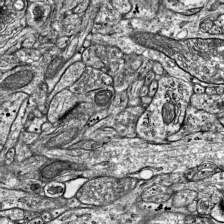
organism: Mouse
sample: Visual Cortex